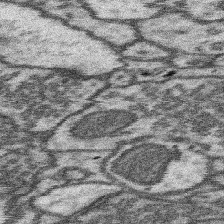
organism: Mouse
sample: Somatosensory cortex neuropil